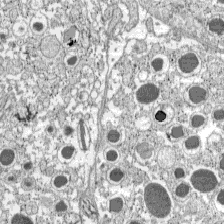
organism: C57BL Mouse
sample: Pancreatic islet